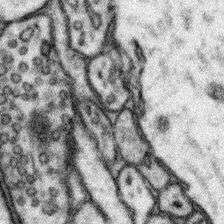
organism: Mouse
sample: Somatosensory cortex neuropil